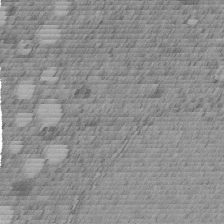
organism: C. elegans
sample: C. elegans embryo early stage